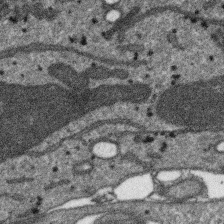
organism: Human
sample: Lung epithelial cells infected with SARS-CoV-2